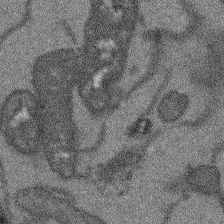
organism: Arabidopsis thaliana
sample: Root tip